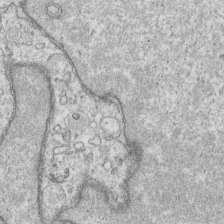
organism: Human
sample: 1205lu cells